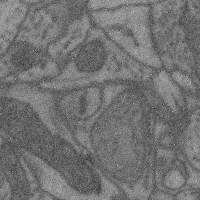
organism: Mouse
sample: Cerebral cortex